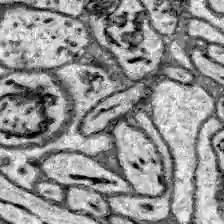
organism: Zebrafish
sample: Brain